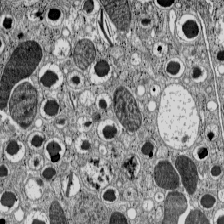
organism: C57BL Mouse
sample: Pancreatic islet